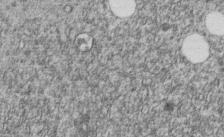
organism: C. elegans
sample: C. elegans embryo early stage